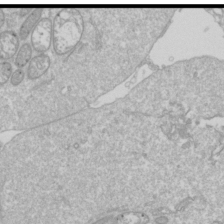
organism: Drosophila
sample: Cell division; meiosis; drosophila spermatocytes